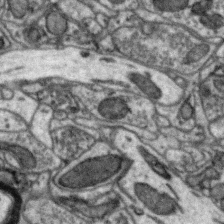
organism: Zebra finch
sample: Brain